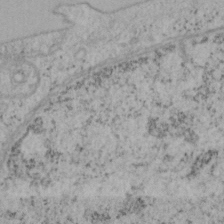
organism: Human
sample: HeLa cells